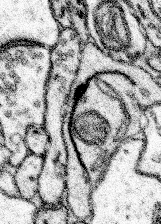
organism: Mouse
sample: Somatosensory cortex neuropil